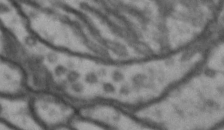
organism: Drosophila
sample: Brain